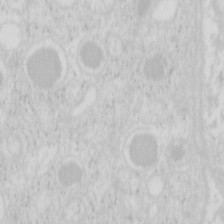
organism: Mouse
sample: Pancreas